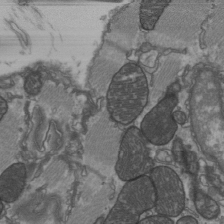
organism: C57BL Mouse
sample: Heart